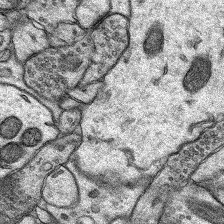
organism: Rat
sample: Hippocampus